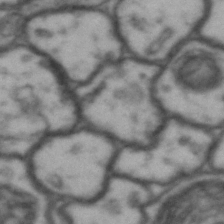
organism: Drosophila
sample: Brain